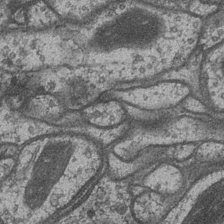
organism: Drosophila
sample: Optic medulla